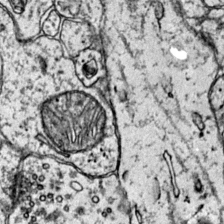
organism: Mouse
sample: Primary visual cortex